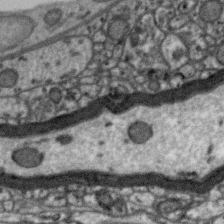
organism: Zebra finch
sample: Brain